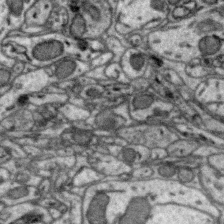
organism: Zebra finch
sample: Brain